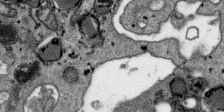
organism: Human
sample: Lung epithelial cells, uninfected (mock) control